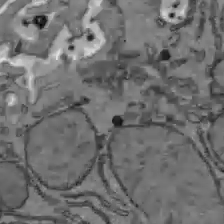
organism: C57BL Mouse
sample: Liver